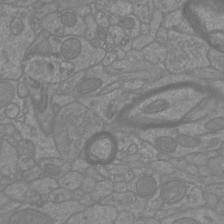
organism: Mouse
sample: Cortical neurons